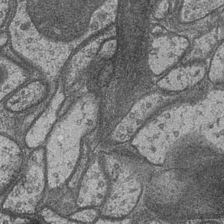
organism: Drosophila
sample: Optic medulla